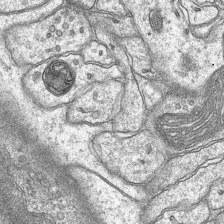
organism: Mouse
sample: CA1 Hippocampus